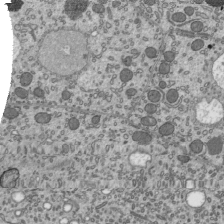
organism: Mouse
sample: Mouse epididymis efferent ductule cilia